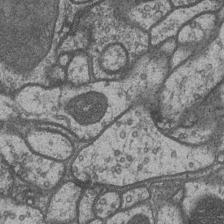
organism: Drosophila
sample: Optic medulla